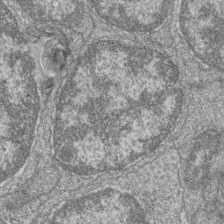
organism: Zebrafish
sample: Cilia; retinal pigment epithelium